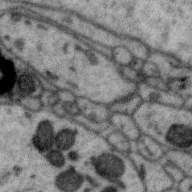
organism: Zebra finch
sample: Brain